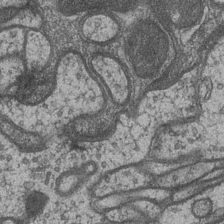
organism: Drosophila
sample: Optic medulla